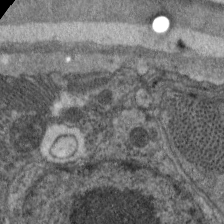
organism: C. elegans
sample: Pharynx